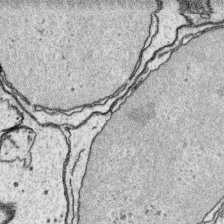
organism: Platynereis dumerilii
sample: Parapodia